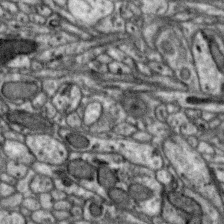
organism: Zebra finch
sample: Brain